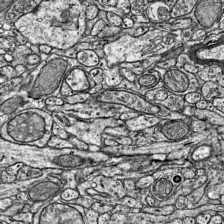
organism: Mouse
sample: Visual Cortex